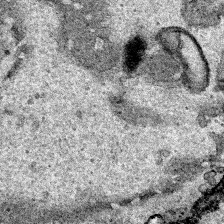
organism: Human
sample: Mitochondria in HCT116 cells